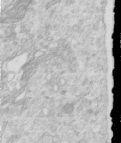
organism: Human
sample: Centriole in RPE cells